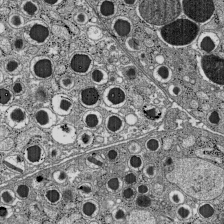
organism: C57BL Mouse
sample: Pancreatic islet